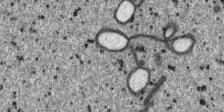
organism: Human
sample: Lung epithelial cells infected with SARS-CoV-2